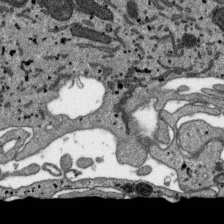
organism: Human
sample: Lung epithelial cells, uninfected (mock) control